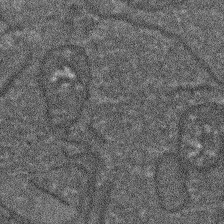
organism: Arabidopsis thaliana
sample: Root tip